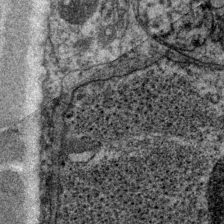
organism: P. pacificus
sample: Pharynx